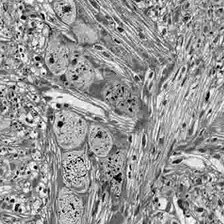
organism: Drosophila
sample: Optic lobe